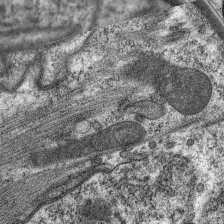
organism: C. elegans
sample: Pharynx